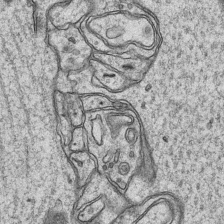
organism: Mouse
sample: CA1 Hippocampus